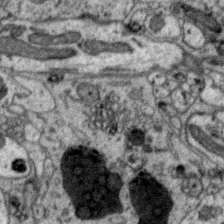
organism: Zebra finch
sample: Brain